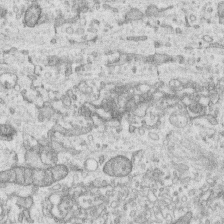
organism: Human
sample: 1205lu cells